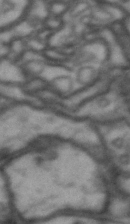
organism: Drosophila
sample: Brain